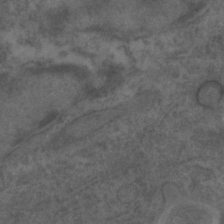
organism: C. elegans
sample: C. elegans embryo